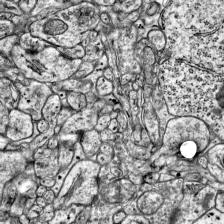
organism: Mouse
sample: Visual Cortex